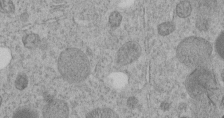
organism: C. elegans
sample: C. elegans embryo early stage